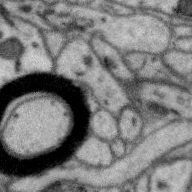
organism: Zebra finch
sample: Brain